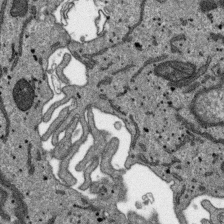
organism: Human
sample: Lung epithelial cells, uninfected (mock) control